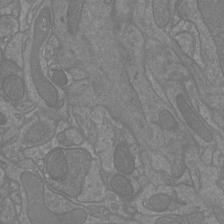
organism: Mouse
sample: Cortical neurons